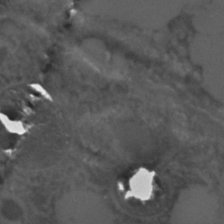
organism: C. elegans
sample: C. elegans embryo